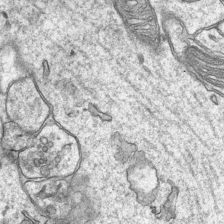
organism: Mouse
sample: CA1 Hippocampus